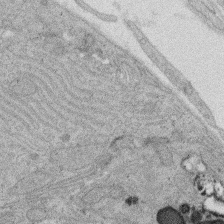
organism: Rat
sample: Salivary granule